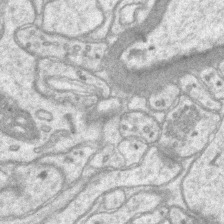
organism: Mouse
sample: CA1 Hippocampus